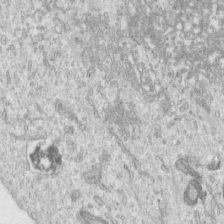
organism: Human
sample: Centriole in RPE cells